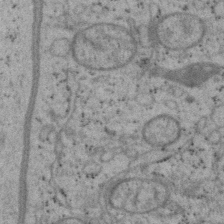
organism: Human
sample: HeLa cells